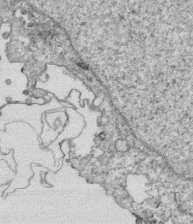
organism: Human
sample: HeLa cell HIV synapse